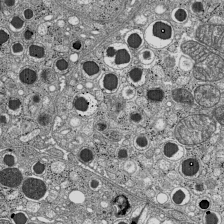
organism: C57BL Mouse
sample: Pancreatic islet